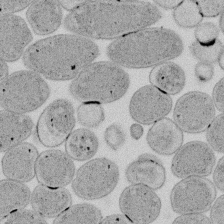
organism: E. coli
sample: Bacterial nucleoid